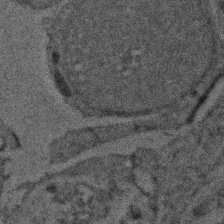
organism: Zebrafish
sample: Zebrafish embryo